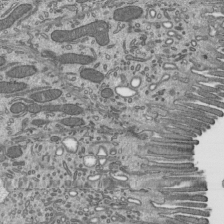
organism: Mouse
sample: Mouse epididymis efferent ductule cilia